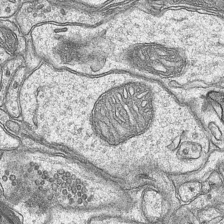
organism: Mouse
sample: CA1 Hippocampus